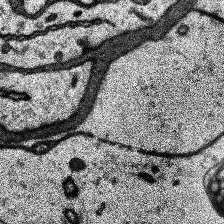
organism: Human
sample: Temporal Lobe